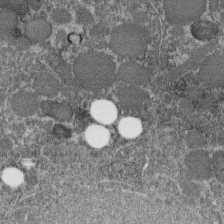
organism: C. elegans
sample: C. elegans embryo early stage